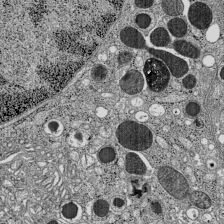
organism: C57BL Mouse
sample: Pancreatic islet